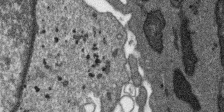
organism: Human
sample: Lung epithelial cells infected with SARS-CoV-2